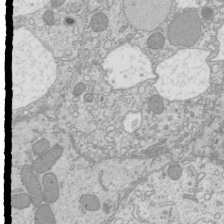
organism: Mouse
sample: Cilia; mouse epididymis